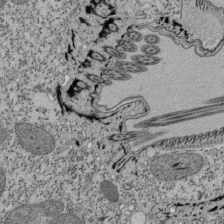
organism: Tetrahymena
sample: Cilia in tetrahymena